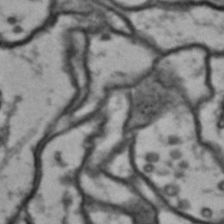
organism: Drosophila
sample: Brain